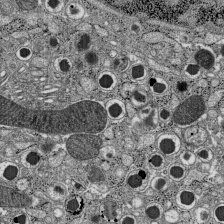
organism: C57BL Mouse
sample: Pancreatic islet